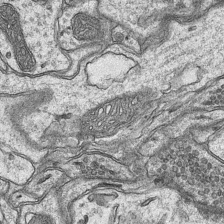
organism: Mouse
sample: CA1 Hippocampus